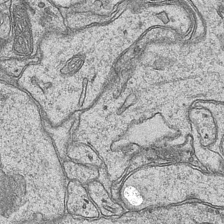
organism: Mouse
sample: CA1 Hippocampus